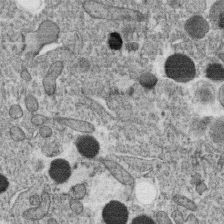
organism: C. elegans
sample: C. elegans oocyte; sperm cells